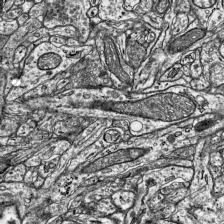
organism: Mouse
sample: Visual Cortex